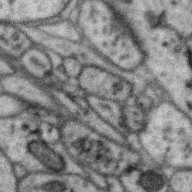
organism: Zebra finch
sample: Brain